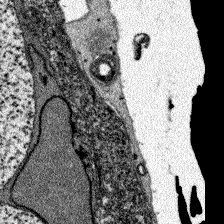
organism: Zebrafish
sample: Larval olfactory bulb